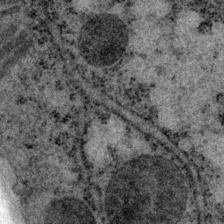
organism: P. pacificus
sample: Pharynx